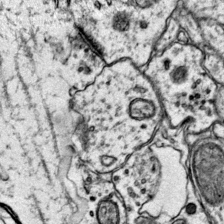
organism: Mouse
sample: Primary visual cortex